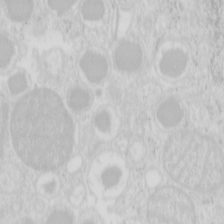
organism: Mouse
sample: Pancreas